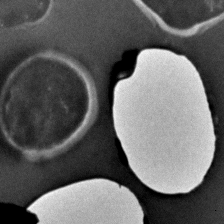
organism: C. elegans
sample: C. elegans embryo